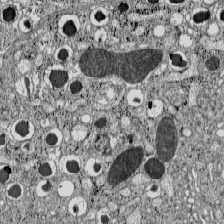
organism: C57BL Mouse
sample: Pancreatic islet